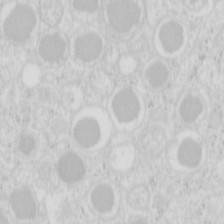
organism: Mouse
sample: Pancreas